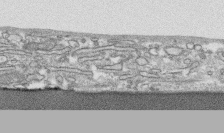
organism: Human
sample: CRL-1474